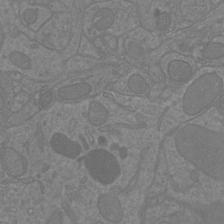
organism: Mouse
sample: Cortical neurons